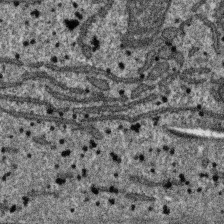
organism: Human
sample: Lung epithelial cells infected with SARS-CoV-2